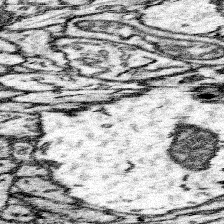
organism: Mouse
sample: Somatosensory cortex neuropil